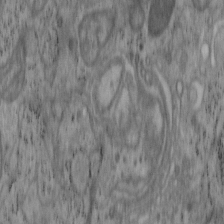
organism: Human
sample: HeLa cells